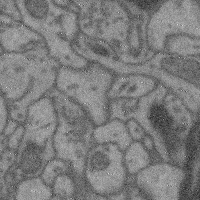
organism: Mouse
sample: Cerebral cortex